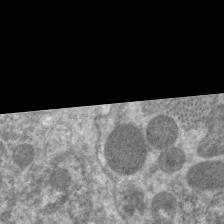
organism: C. elegans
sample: Pharynx